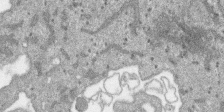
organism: Human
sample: Lung epithelial cells infected with SARS-CoV-2